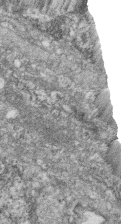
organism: Zebrafish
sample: Cilia; retinal pigment epithelium